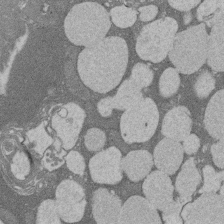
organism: Rat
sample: Salivary granule